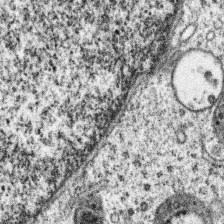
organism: Human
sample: HeLa cells